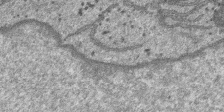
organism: Human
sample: Lung epithelial cells infected with SARS-CoV-2